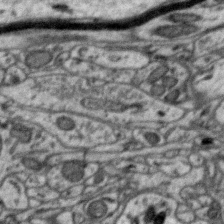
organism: Zebra finch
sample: Brain